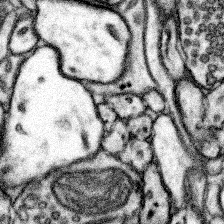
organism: Mouse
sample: Somatosensory cortex neuropil